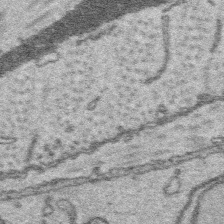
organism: Platynereis dumerilii